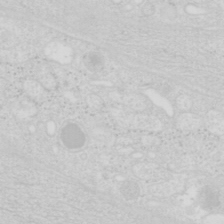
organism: Mouse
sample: Pancreas